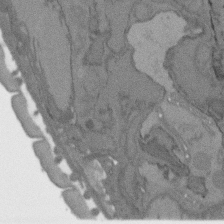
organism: C. elegans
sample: AFD neurons C. elegans